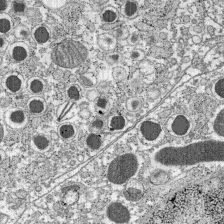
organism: C57BL Mouse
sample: Pancreatic islet